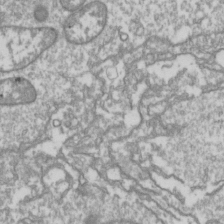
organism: Drosophila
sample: Cell division; meiosis; drosophila spermatocytes